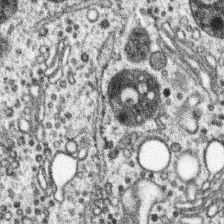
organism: Human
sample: HeLa cells